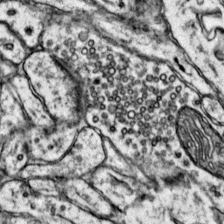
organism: Mouse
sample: Primary visual cortex